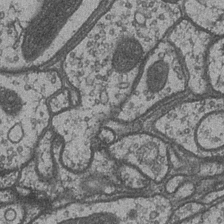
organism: Drosophila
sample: Optic medulla